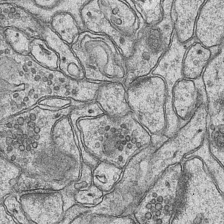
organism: Mouse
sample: CA1 Hippocampus